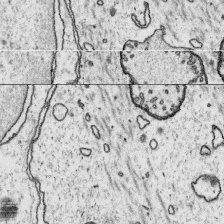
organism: Platynereis dumerilii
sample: Parapodia